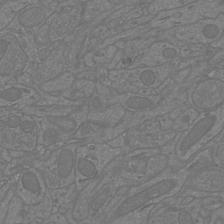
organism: Mouse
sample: Cortical neurons